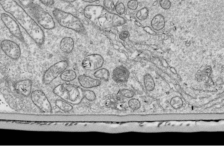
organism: Drosophila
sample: Cell division; meiosis; drosophila spermatocytes